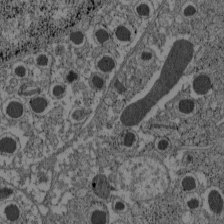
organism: C57BL Mouse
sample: Pancreatic islet